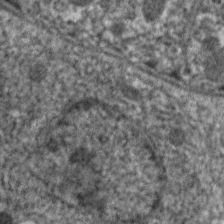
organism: C. elegans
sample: Pharynx